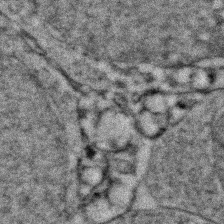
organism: Zebrafish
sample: Zebrafish embryo